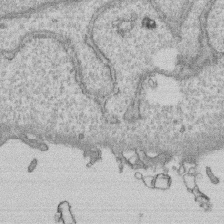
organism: Human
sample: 1205lu cells